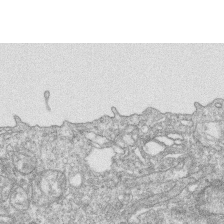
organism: Human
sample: HeLa cell HIV synapse